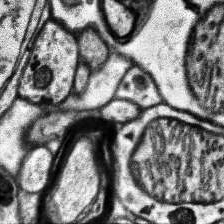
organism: Human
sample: Temporal Lobe